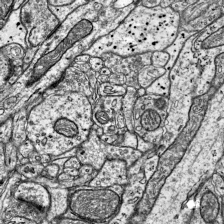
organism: Mouse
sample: Visual Cortex